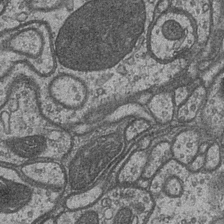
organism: Drosophila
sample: Optic medulla